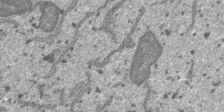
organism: Human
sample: Lung epithelial cells infected with SARS-CoV-2